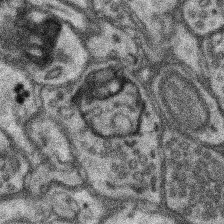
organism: Mouse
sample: Somatosensory cortex neuropil